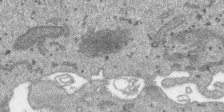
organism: Human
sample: Lung epithelial cells infected with SARS-CoV-2